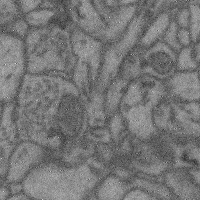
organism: Mouse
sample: Cerebral cortex